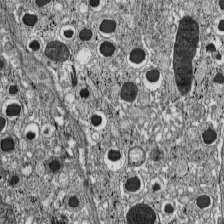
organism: C57BL Mouse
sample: Pancreatic islet